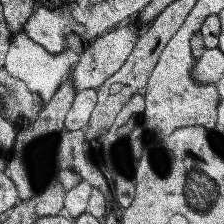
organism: Human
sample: Temporal Lobe